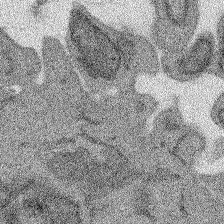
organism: Human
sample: HeLa cells